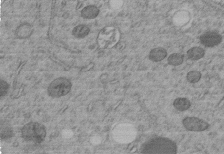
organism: C. elegans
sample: C. elegans embryo early stage